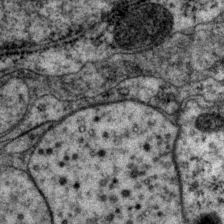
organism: P. pacificus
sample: Pharynx